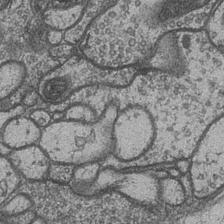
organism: Drosophila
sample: Optic medulla